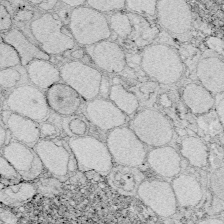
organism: Zebrafish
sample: Whole-Brain